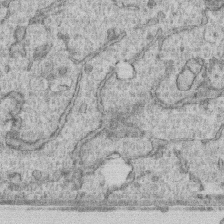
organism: Human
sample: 1205lu cells